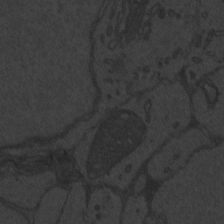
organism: Zebrafish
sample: Macrophage infected with Toxoplasma gondii